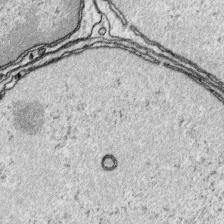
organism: Platynereis dumerilii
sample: Parapodia